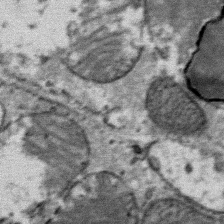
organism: Mouse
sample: Mouse Salivary gland